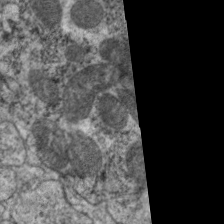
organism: C. elegans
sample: Pharynx